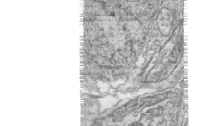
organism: Zebrafish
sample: synaptic ribbons in rod cells and cone cells